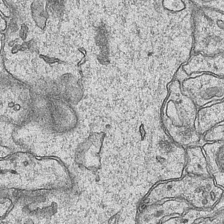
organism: Mouse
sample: CA1 Hippocampus